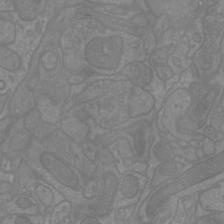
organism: Mouse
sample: Cortical neurons